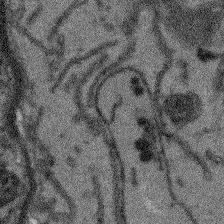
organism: Arabidopsis thaliana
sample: Root tip